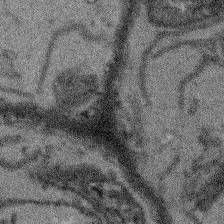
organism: Arabidopsis thaliana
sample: Root tip